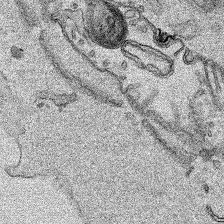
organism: Human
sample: Mitochondria in HCT116 cells